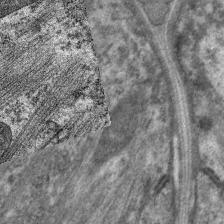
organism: C. elegans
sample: Pharynx